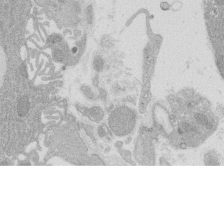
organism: Rat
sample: Salivary granule